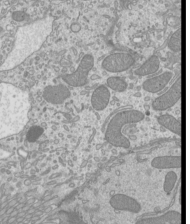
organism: Mouse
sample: Cilia; mouse epididymis